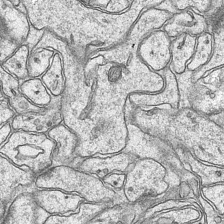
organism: Mouse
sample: CA1 Hippocampus